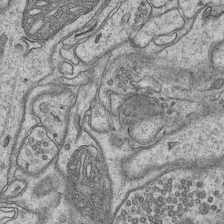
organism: Mouse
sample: CA1 Hippocampus